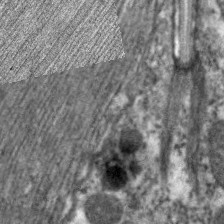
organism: C. elegans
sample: Pharynx